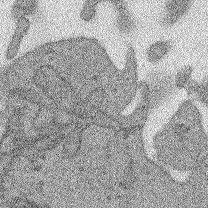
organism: Human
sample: HeLa cells